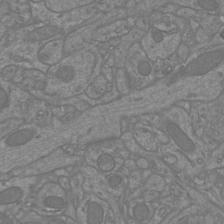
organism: Mouse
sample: Cortical neurons